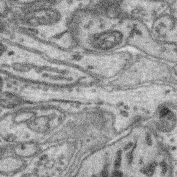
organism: Mouse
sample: Retina